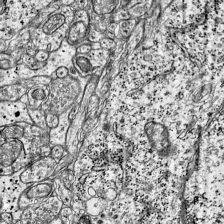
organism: Mouse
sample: Visual Cortex